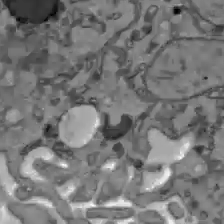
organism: C57BL Mouse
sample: Liver